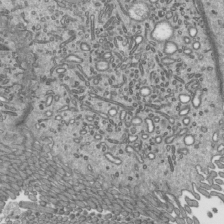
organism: Mouse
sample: Mouse epididymis efferent ductule cilia